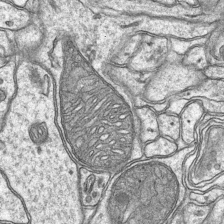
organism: Mouse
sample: CA1 Hippocampus